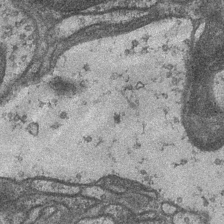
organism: Drosophila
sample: Optic medulla